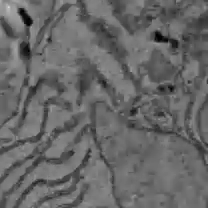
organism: C57BL Mouse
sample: Liver